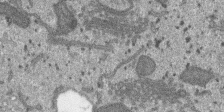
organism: Human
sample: Lung epithelial cells infected with SARS-CoV-2